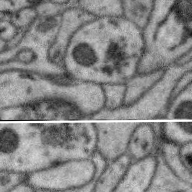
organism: Zebra finch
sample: Brain